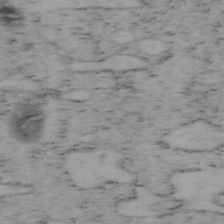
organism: Mouse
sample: OT-I killer T cells with ID8 ovarian cancer cells